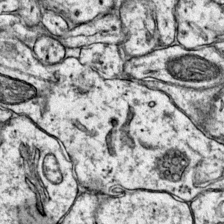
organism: Mouse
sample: Primary visual cortex